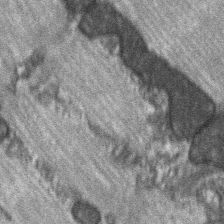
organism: C57BL Mouse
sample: Soleus